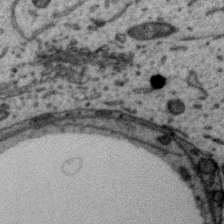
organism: Zebra finch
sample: Brain